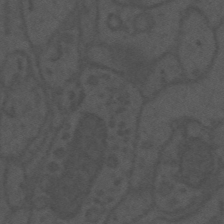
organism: Mouse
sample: Suprachiasmatic nucleus